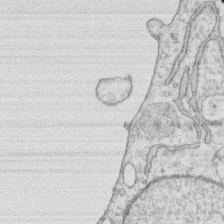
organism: Human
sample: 1205lu cells